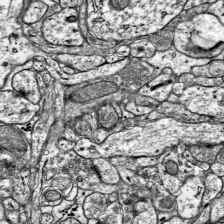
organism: Mouse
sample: Visual Cortex